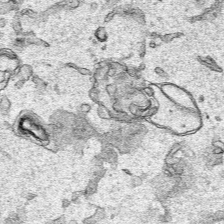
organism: Human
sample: Mitochondria in HCT116 cells